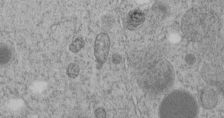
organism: C. elegans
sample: C. elegans embryo early stage